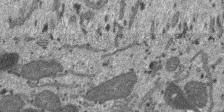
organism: Human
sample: Lung epithelial cells infected with SARS-CoV-2